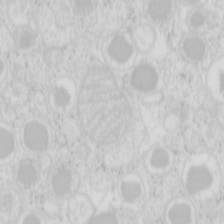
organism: Mouse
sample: Pancreas